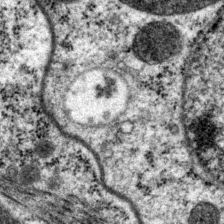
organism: P. pacificus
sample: Pharynx